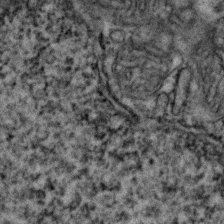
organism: Zebrafish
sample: Zebrafish embryo